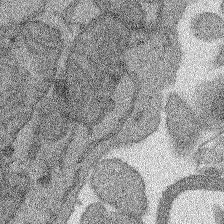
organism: Human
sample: HeLa cells